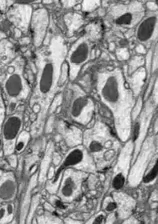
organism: Drosophila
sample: Optic lobe